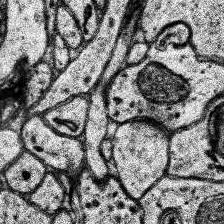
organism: Human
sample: Temporal Lobe